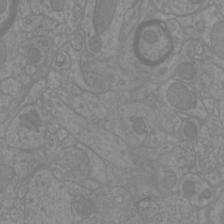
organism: Mouse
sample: Cortical neurons